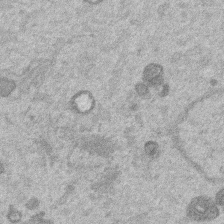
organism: Mouse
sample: Dividing mouse embryo 1 cell stage